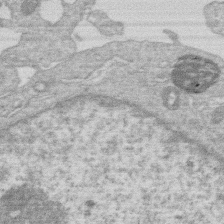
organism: Human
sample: Macrophage cells